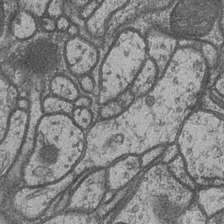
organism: Drosophila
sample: Optic medulla